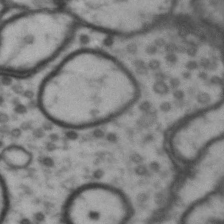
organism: Drosophila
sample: Brain